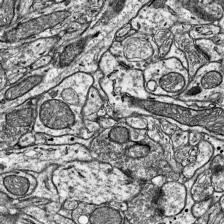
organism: Mouse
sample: Visual Cortex